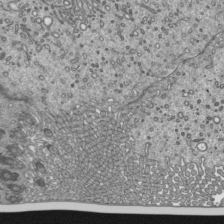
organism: Mouse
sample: Mouse epididymis efferent ductule cilia